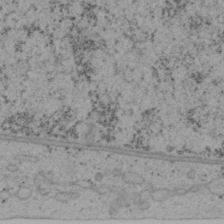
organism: Human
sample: HeLa cells